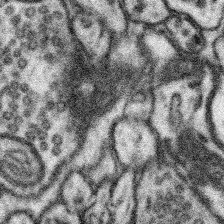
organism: Mouse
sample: Somatosensory cortex neuropil